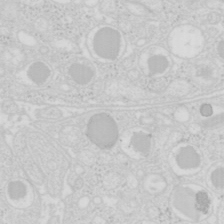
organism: Mouse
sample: Pancreas